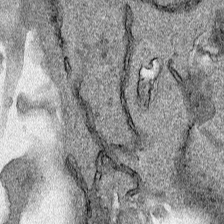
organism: Human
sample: Mitochondria in HCT116 cells